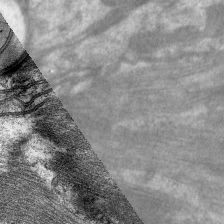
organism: C. elegans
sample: Pharynx